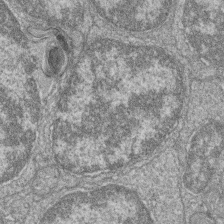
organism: Zebrafish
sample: Cilia; retinal pigment epithelium